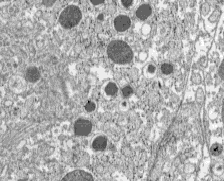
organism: C57BL Mouse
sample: Pancreatic islet